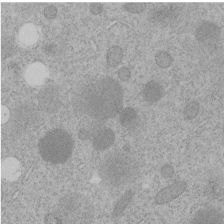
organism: C. elegans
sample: C. elegans embryo early stage